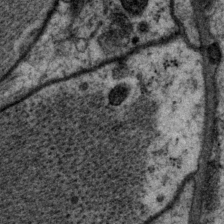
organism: P. pacificus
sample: Pharynx